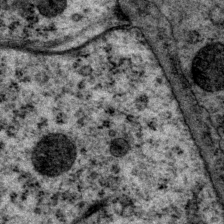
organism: P. pacificus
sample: Pharynx